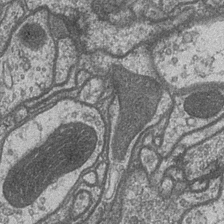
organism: Drosophila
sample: Optic medulla